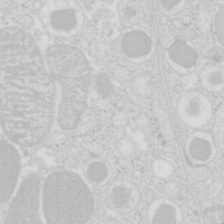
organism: Mouse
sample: Pancreas